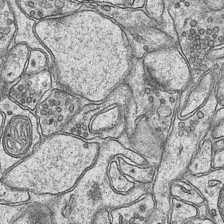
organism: Mouse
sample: CA1 Hippocampus